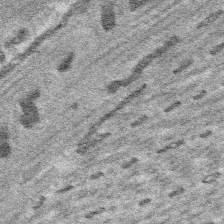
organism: Platynereis dumerilii